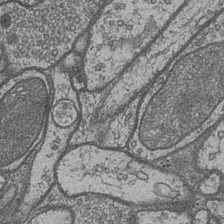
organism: Drosophila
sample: Optic medulla